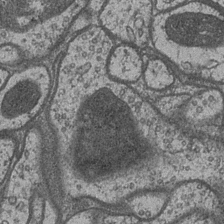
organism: Drosophila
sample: Optic medulla